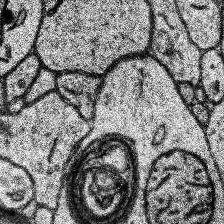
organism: Human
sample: Temporal Lobe